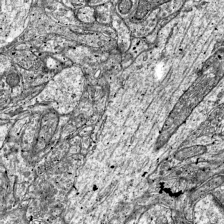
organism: Mouse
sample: Visual Cortex